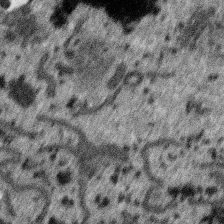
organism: Human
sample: Lung epithelial cells infected with SARS-CoV-2